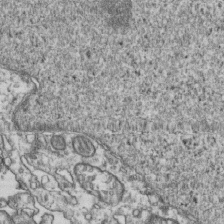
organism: Human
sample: Activated Jurkat CD4+ T cells